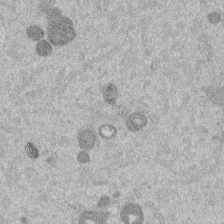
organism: Mouse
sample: Dividing mouse embryo 1 cell stage